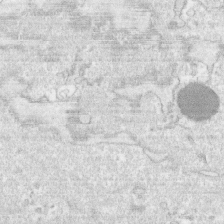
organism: Human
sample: CRL-1474